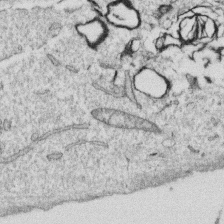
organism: Human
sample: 1205lu cells